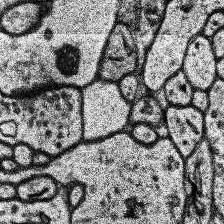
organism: Human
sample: Temporal Lobe